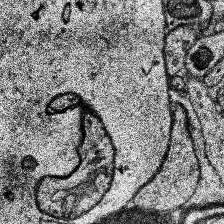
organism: Human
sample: Temporal Lobe